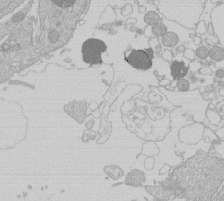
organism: Human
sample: Macrophage cells